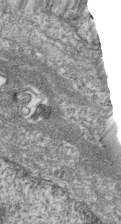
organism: Zebrafish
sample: Cilia; retinal pigment epithelium